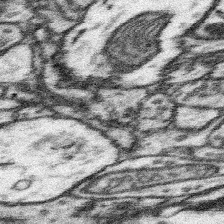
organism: Mouse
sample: Somatosensory cortex neuropil